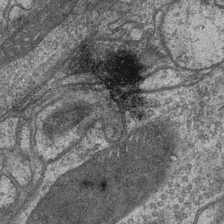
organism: Drosophila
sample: Optic medulla